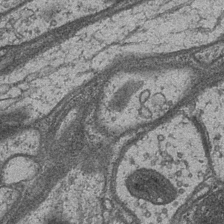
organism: Drosophila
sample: Optic medulla